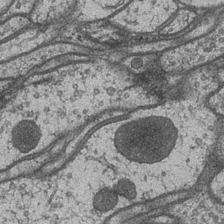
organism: Drosophila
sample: Optic medulla